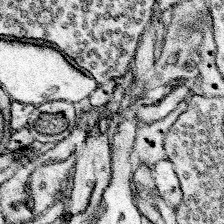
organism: Mouse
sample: Somatosensory cortex neuropil